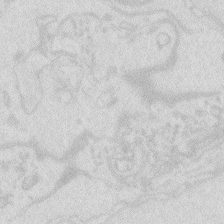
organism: Zebrafish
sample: Macrophage